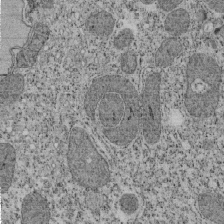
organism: Tetrahymena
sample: Cilia in tetrahymena